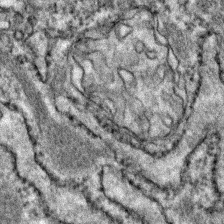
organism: Zebrafish